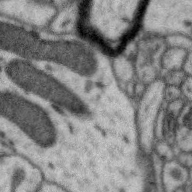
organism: Zebra finch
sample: Brain